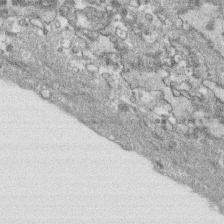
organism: Human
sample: CRL-1474